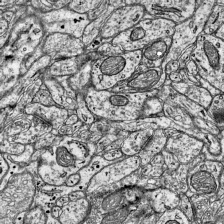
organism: Mouse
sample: Visual Cortex